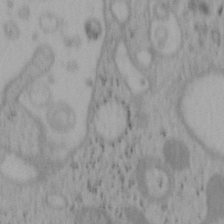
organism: Mouse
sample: OT-I killer T cells with ID8 ovarian cancer cells